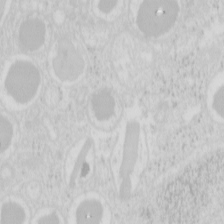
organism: Mouse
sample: Pancreas